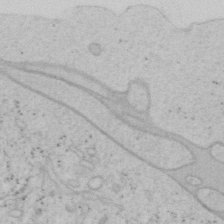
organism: Human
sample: HeLa cells